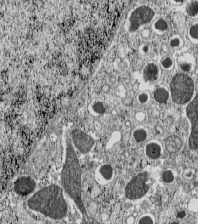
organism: C57BL Mouse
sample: Pancreatic islet